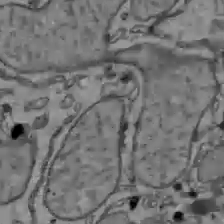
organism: C57BL Mouse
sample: Liver